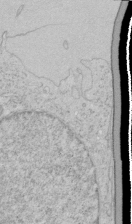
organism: Human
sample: Mitochondria in HCT116 cells